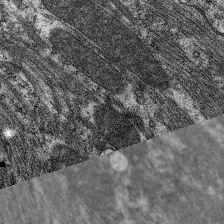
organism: C. elegans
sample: Pharynx